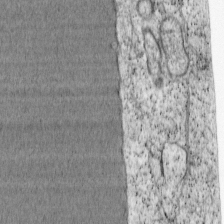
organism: African green monkey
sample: COS-7 cells